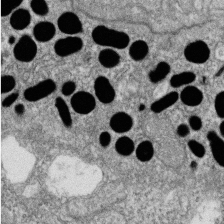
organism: Zebrafish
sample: Cilia; retinal pigment epithelium